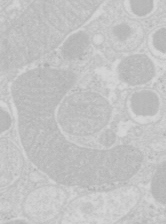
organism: Mouse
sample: Pancreas